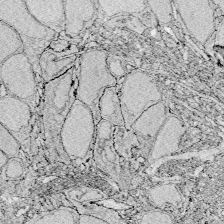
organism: Zebrafish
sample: Whole-Brain